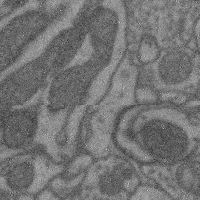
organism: Mouse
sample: Cerebral cortex